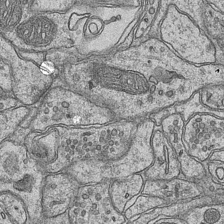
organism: Mouse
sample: CA1 Hippocampus